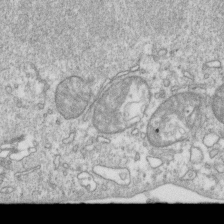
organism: Mouse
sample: Activated OT-1 CD8+ T cells